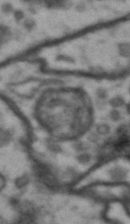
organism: Drosophila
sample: Brain